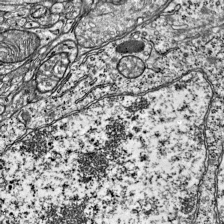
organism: Mouse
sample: Visual Cortex